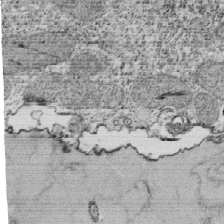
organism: Tetrahymena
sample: Cilia in tetrahymena